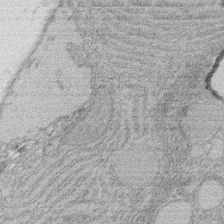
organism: Rat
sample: Salivary granule